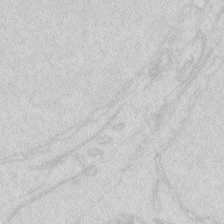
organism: Zebrafish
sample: Macrophage